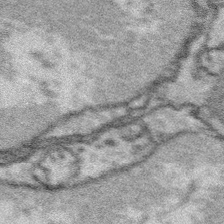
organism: Platynereis dumerilii